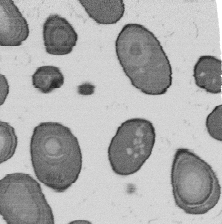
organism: B. subtilis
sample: Bacterial spore